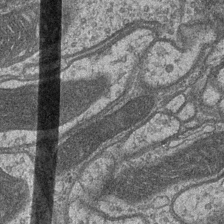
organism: Drosophila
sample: Optic medulla